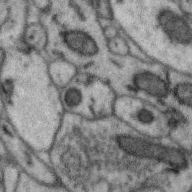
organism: Zebra finch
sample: Brain